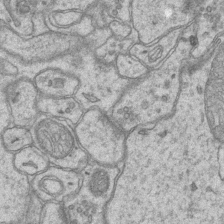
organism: Mouse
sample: CA1 Hippocampus